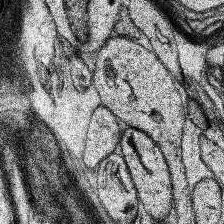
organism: Human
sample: Temporal Lobe